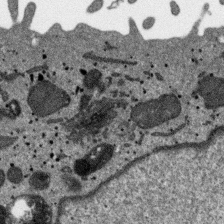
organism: Human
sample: Lung epithelial cells, uninfected (mock) control